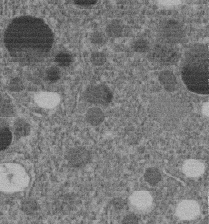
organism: C. elegans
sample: C. elegans embryo early stage